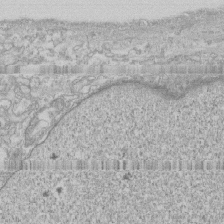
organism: Human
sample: CRL-1474